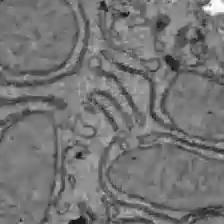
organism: C57BL Mouse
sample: Liver